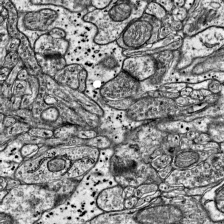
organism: Mouse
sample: Visual Cortex